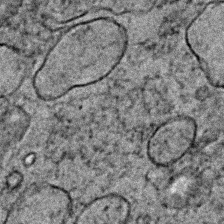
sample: Trachea